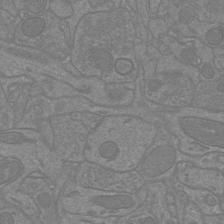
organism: Mouse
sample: Cortical neurons